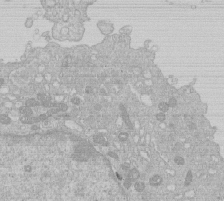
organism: Human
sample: Macrophage cells